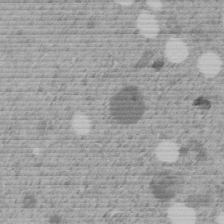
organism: C. elegans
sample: C. elegans embryo early stage